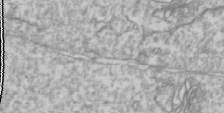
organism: Drosophila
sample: Cell division; meiosis; drosophila spermatocytes